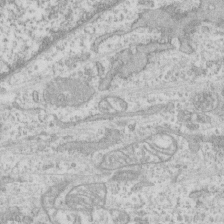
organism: Human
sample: CRL-1474